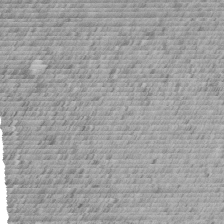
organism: C. elegans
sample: C. elegans embryo early stage